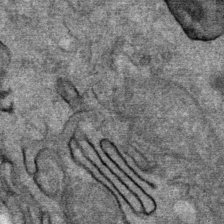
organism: Mouse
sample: Mouse Salivary gland